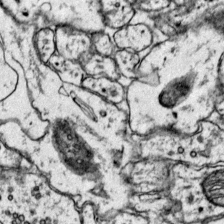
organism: Mouse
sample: Primary visual cortex